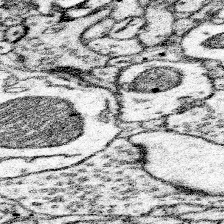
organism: Mouse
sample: Somatosensory cortex neuropil